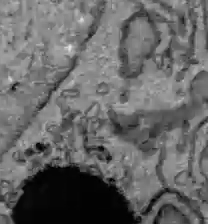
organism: C57BL Mouse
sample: Liver